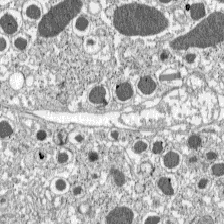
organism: C57BL Mouse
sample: Pancreatic islet